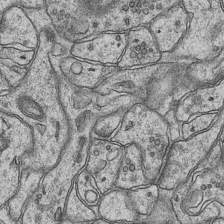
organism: Mouse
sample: CA1 Hippocampus